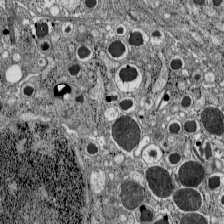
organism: C57BL Mouse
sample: Pancreatic islet